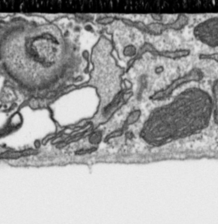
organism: Toxoplasma gondii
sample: Parasites in a vacuole inside a host cell